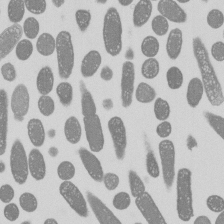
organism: E. coli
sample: Bacterial nucleoid